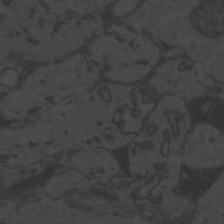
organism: Zebrafish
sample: Macrophage infected with Toxoplasma gondii